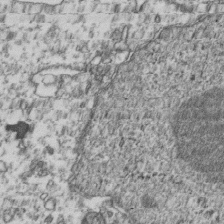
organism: Human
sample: Activated Jurkat CD4+ T cells